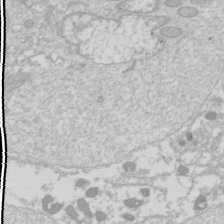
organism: Drosophila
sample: Cell division; meiosis; drosophila spermatocytes